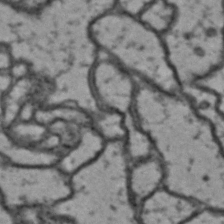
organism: Drosophila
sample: Brain